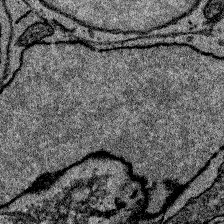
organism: Zebrafish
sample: Larval olfactory bulb